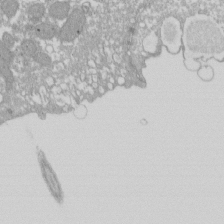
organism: Xenopus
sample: Cilia; centrioles in frog embryo cells